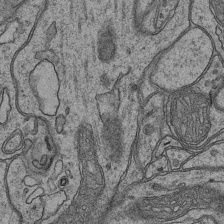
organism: Mouse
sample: CA1 Hippocampus